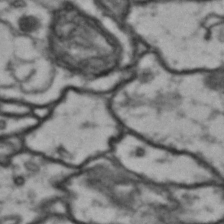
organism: Drosophila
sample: Brain